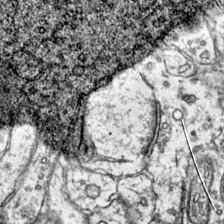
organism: Mouse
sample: Primary visual cortex